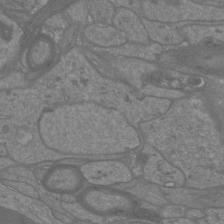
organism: Mouse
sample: Cortical neurons